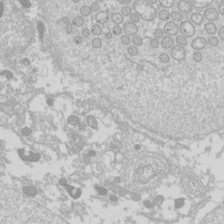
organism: Drosophila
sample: Cell division; meiosis; drosophila spermatocytes